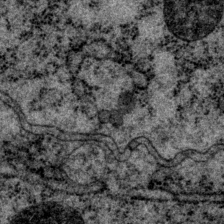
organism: P. pacificus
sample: Pharynx